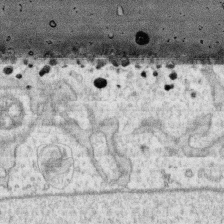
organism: Human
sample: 1205lu cells